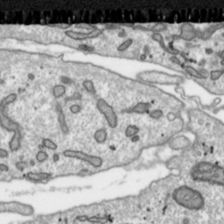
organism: Toxoplasma gondii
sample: Parasites in a vacuole inside a host cell